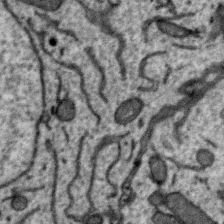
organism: Zebra finch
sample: Brain